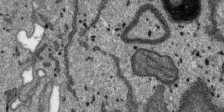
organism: Human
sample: Lung epithelial cells, uninfected (mock) control